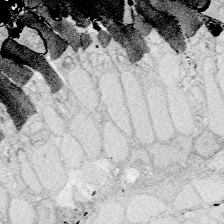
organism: Zebrafish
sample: Whole-Brain